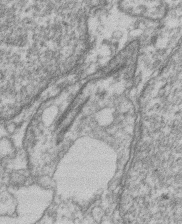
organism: Mouse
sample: T cell stromal cell synapse